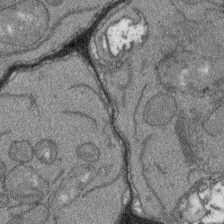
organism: Arabidopsis thaliana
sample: Root tip